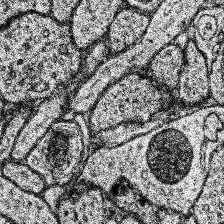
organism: Human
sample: Temporal Lobe